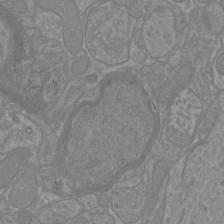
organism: Mouse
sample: Cortical neurons